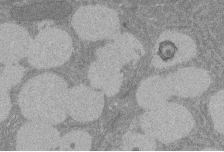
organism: Rat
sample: Salivary granule